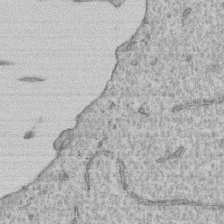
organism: Human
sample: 1205lu cells